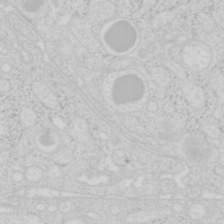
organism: Mouse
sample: Pancreas